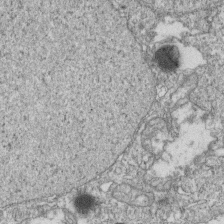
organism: Human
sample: HeLa cell HIV synapse